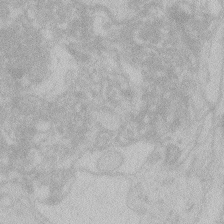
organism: Zebrafish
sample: Macrophage infected with Toxoplasma gondii